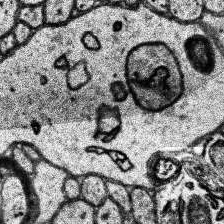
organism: Human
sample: Temporal Lobe